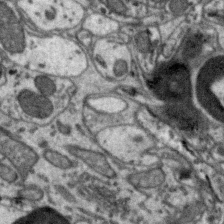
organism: Zebra finch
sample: Brain